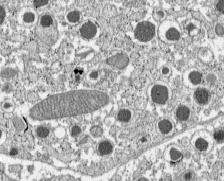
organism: C57BL Mouse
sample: Pancreatic islet